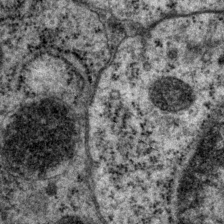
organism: P. pacificus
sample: Pharynx